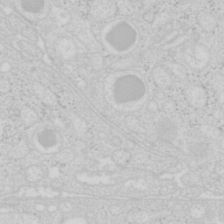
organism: Mouse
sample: Pancreas